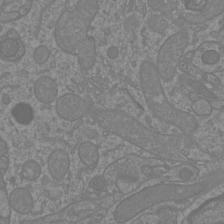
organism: Mouse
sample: Cortical neurons